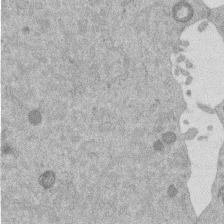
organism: Mouse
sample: Dividing mouse embryo 1 cell stage